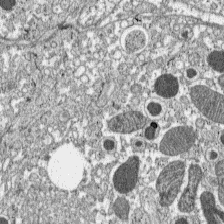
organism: C57BL Mouse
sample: Pancreatic islet